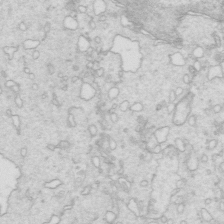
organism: Mouse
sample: Multiciliated cells